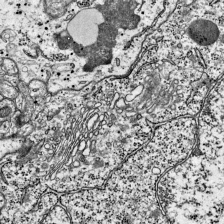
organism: Mouse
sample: Visual Cortex